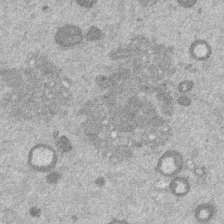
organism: Mouse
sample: Dividing mouse embryo 1 cell stage